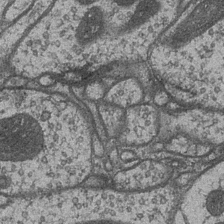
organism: Drosophila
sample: Optic medulla